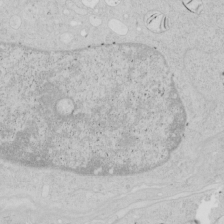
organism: Human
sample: Mitochondria in HCT116 cells